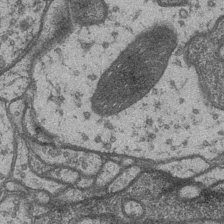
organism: Drosophila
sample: Optic medulla